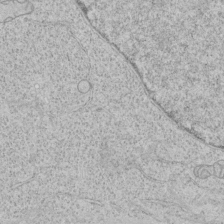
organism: Human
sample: Mitochondria in HCT116 cells